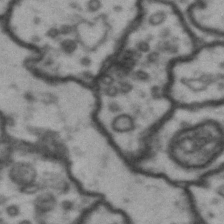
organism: Drosophila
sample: Brain